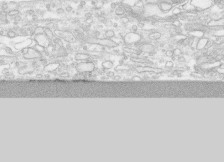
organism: Human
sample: CRL-1474